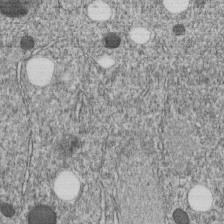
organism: C. elegans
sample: C. elegans embryo early stage